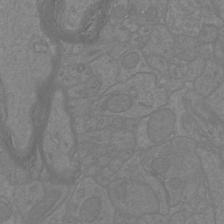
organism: Mouse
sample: Cortical neurons